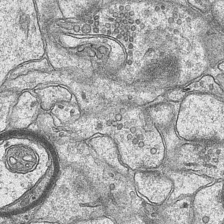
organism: Mouse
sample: CA1 Hippocampus